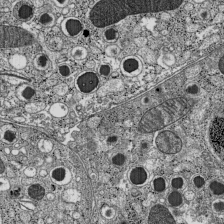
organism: C57BL Mouse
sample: Pancreatic islet